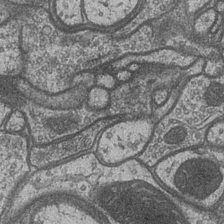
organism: Drosophila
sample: Optic medulla